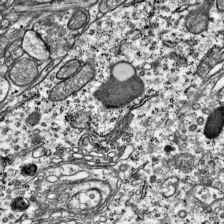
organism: Mouse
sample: Visual Cortex